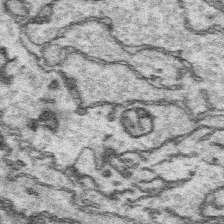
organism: Platynereis dumerilii